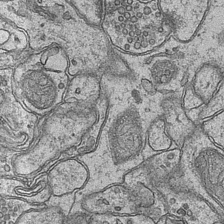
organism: Mouse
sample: CA1 Hippocampus